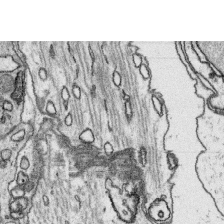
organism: Platynereis dumerilii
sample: Parapodia